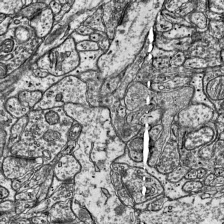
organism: Mouse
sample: Visual Cortex